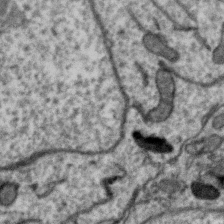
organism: Zebra finch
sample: Brain